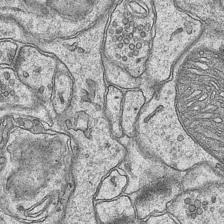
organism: Mouse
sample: CA1 Hippocampus